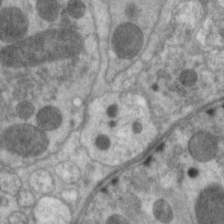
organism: C. elegans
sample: Pharynx